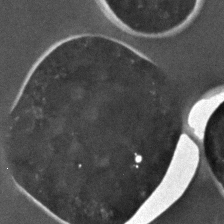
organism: C. elegans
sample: C. elegans embryo